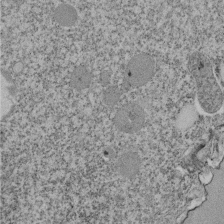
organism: Tetrahymena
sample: Cilia in tetrahymena